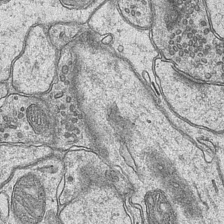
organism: Mouse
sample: CA1 Hippocampus